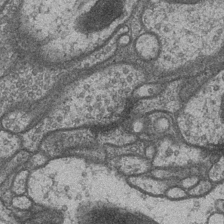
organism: Drosophila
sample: Optic medulla